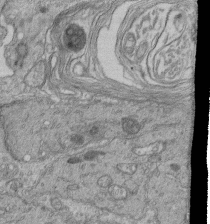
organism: Human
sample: Retinal organoid Rod and Cone cells